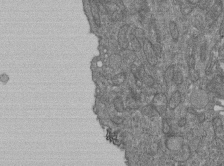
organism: Human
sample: Retinal organoid Rod and Cone cells